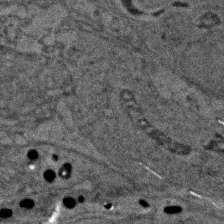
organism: Zebrafish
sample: Zebrafish embryo